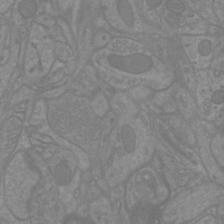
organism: Mouse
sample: Cortical neurons